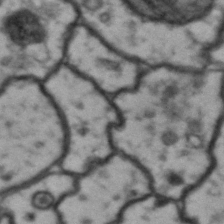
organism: Drosophila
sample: Brain